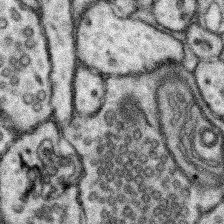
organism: Mouse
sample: Somatosensory cortex neuropil